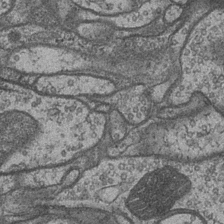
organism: Drosophila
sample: Optic medulla